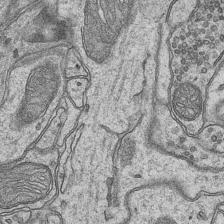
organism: Mouse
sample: CA1 Hippocampus